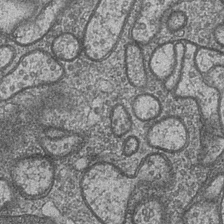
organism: Drosophila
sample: Optic medulla